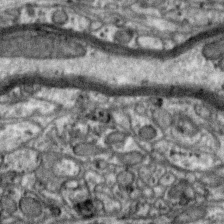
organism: Zebra finch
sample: Brain